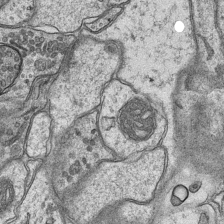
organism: Mouse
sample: CA1 Hippocampus